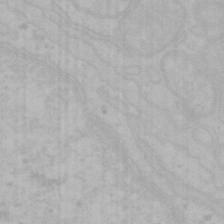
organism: Mouse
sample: Choroid plexus